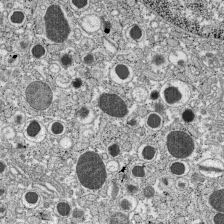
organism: C57BL Mouse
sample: Pancreatic islet